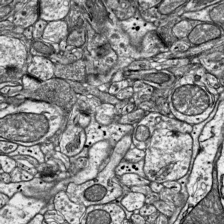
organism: Mouse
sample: Visual Cortex